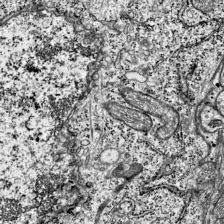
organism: Mouse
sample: Visual Cortex